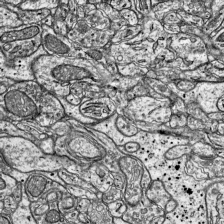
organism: Mouse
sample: Visual Cortex